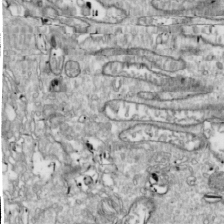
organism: Drosophila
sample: Cell division; meiosis; drosophila spermatocytes